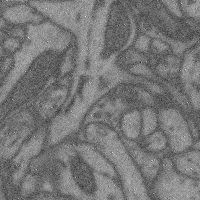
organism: Mouse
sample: Cerebral cortex